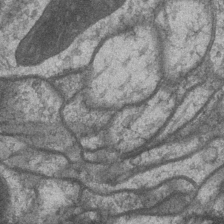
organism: Drosophila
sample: Optic medulla